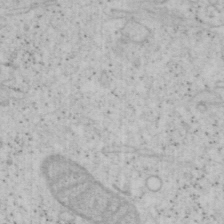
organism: Human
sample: HeLa cells